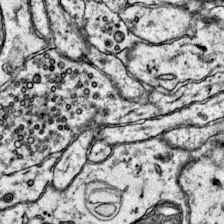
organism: Mouse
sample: Primary visual cortex